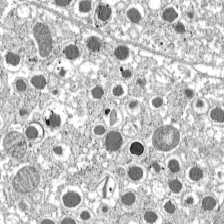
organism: C57BL Mouse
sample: Pancreatic islet